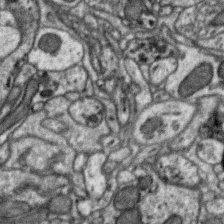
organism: Zebra finch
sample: Brain